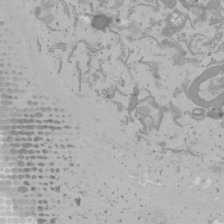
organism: Mouse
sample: Cancer cell death in ED-1 cells